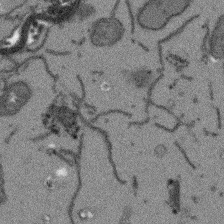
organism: Arabidopsis thaliana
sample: Root tip